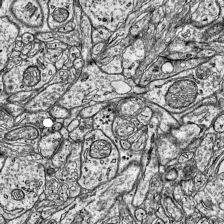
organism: Mouse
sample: Visual Cortex